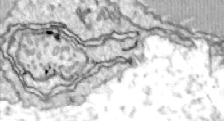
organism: Zebrafish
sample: Actinotrichia fibers